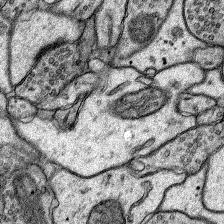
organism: Rat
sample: Hippocampus